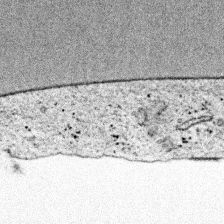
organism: Human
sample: HeLa cells